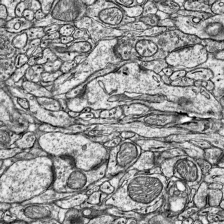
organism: Mouse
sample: Visual Cortex